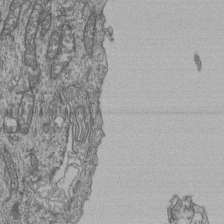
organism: Human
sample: Retinal organoid Rod and Cone cells